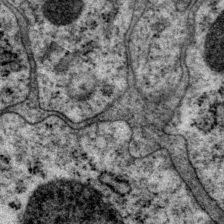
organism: P. pacificus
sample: Pharynx